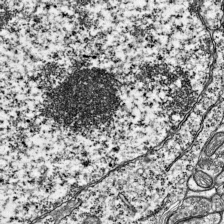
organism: Mouse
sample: Visual Cortex